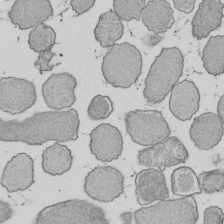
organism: E. coli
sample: Bacterial nucleoid